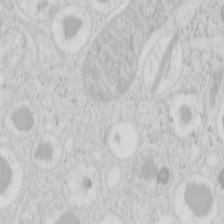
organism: Mouse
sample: Pancreas